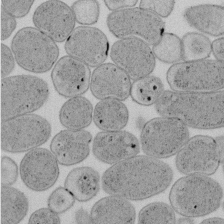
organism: E. coli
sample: Bacterial nucleoid